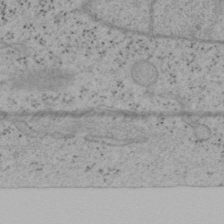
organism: Human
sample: HeLa cells